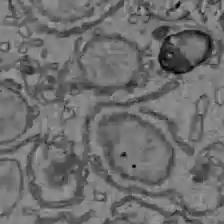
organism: C57BL Mouse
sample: Liver